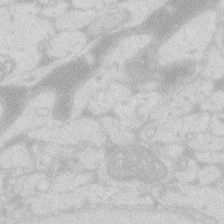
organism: Zebrafish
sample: Macrophage